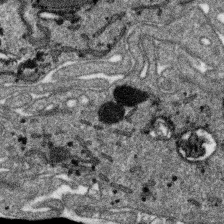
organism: Human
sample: Lung epithelial cells infected with SARS-CoV-2